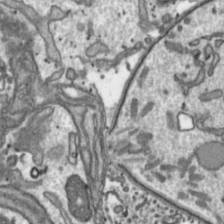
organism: Toxoplasma gondii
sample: Parasites in a vacuole inside a host cell